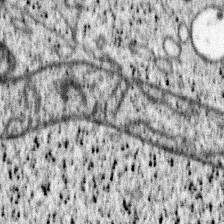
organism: Human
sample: HeLa cells